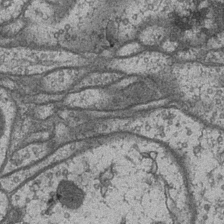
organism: Drosophila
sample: Optic medulla